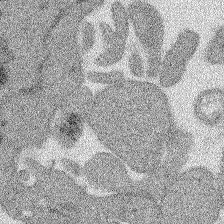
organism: Human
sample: HeLa cells